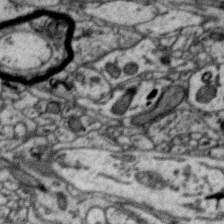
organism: Zebra finch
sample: Brain